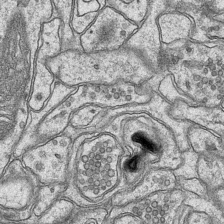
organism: Mouse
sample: CA1 Hippocampus